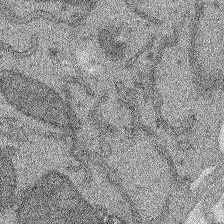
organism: Human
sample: HeLa cells